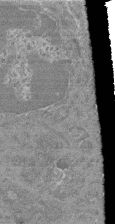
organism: Mouse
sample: Glomerulus